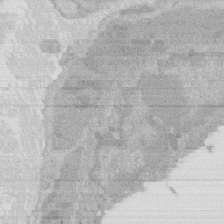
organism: Rat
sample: Salivary granule